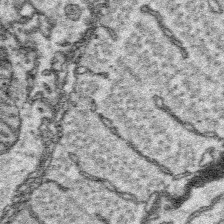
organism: Platynereis dumerilii